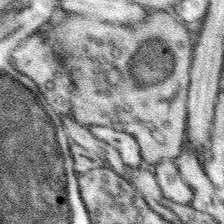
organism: Mouse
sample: Somatosensory cortex neuropil